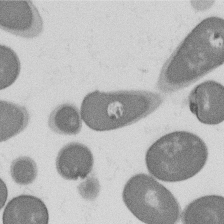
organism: B. subtilis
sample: Bacterial spore